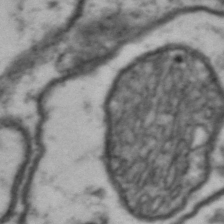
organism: Drosophila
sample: Brain